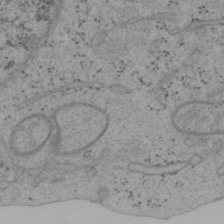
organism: Human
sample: HeLa cells